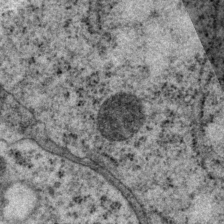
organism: P. pacificus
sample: Pharynx